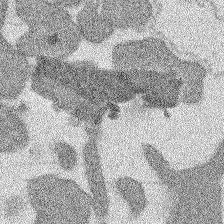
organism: Human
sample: HeLa cells